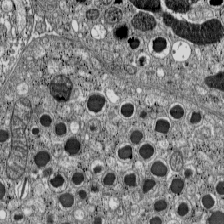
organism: C57BL Mouse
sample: Pancreatic islet